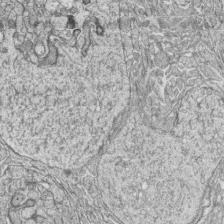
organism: Zebrafish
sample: synaptic ribbons in rod cells and cone cells